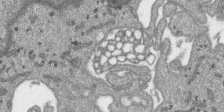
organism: Human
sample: Lung epithelial cells infected with SARS-CoV-2